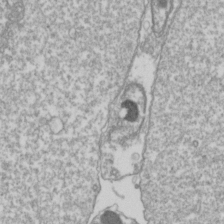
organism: Drosophila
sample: Cell division; meiosis; drosophila spermatocytes